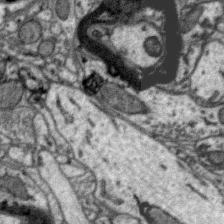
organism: Zebra finch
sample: Brain